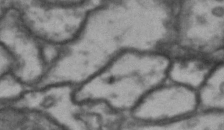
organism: Drosophila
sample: Brain